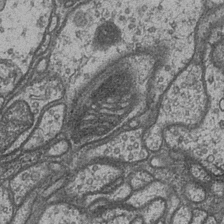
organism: Drosophila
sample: Optic medulla